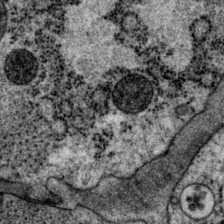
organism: P. pacificus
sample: Pharynx